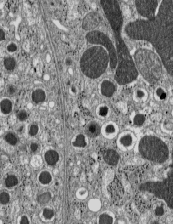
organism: C57BL Mouse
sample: Pancreatic islet